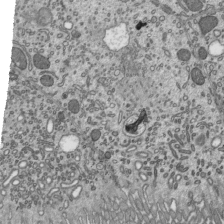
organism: Mouse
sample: Mouse epididymis efferent ductule cilia